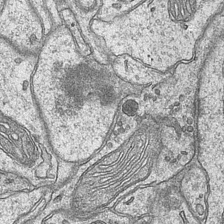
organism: Mouse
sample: CA1 Hippocampus